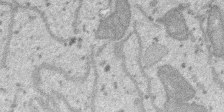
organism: Human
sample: Lung epithelial cells infected with SARS-CoV-2